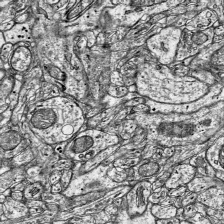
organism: Mouse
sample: Visual Cortex